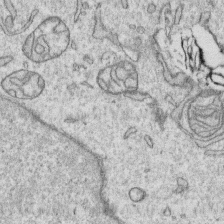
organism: Human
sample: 1205lu cells